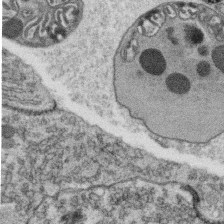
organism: C. elegans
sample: C. elegans oocyte; sperm cells